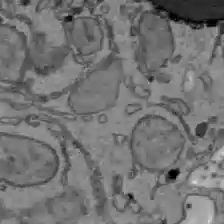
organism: C57BL Mouse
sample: Liver